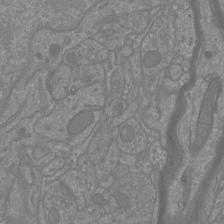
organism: Mouse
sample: Cortical neurons